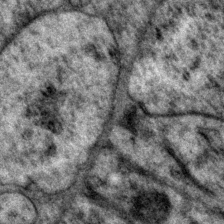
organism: P. pacificus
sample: Pharynx